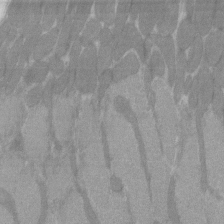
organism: C57BL Mouse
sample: Tibialis anterior muscle cell